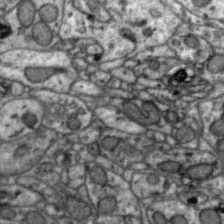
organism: Zebra finch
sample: Brain